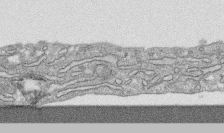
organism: Human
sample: CRL-1474